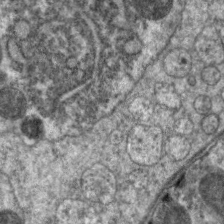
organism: C. elegans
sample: Pharynx